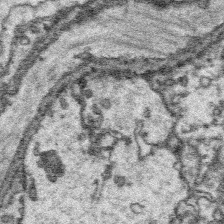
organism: Platynereis dumerilii